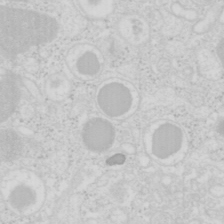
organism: Mouse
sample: Pancreas